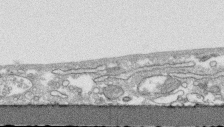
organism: Human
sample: CRL-1474